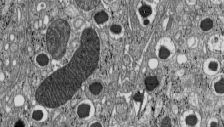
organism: C57BL Mouse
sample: Pancreatic islet